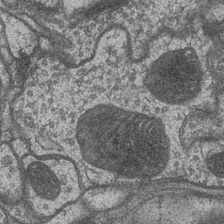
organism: Drosophila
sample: Optic medulla